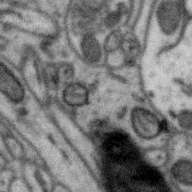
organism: Zebra finch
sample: Brain